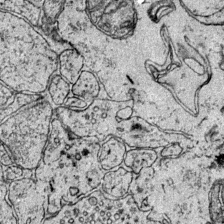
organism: Mouse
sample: Primary visual cortex